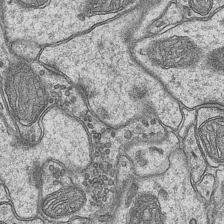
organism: Mouse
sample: CA1 Hippocampus